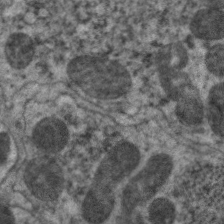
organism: C. elegans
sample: Pharynx